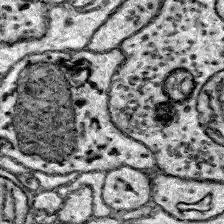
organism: Zebrafish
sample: Brain